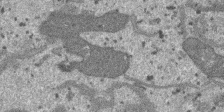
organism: Human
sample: Lung epithelial cells infected with SARS-CoV-2